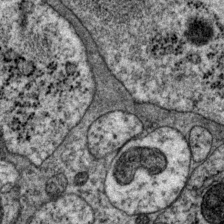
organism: P. pacificus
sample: Pharynx